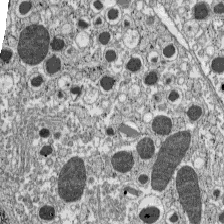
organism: C57BL Mouse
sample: Pancreatic islet